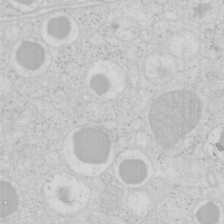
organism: Mouse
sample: Pancreas